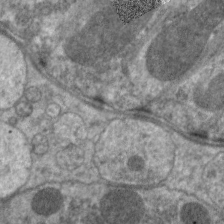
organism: C. elegans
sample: Pharynx